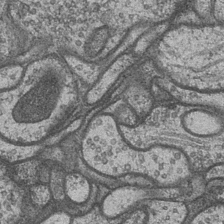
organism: Drosophila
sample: Optic medulla